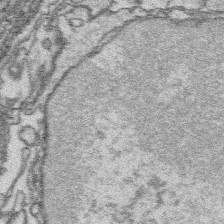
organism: Platynereis dumerilii